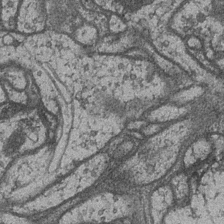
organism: Drosophila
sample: Optic medulla